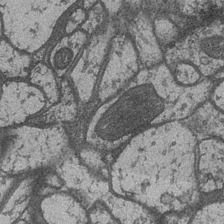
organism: Drosophila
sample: Optic medulla